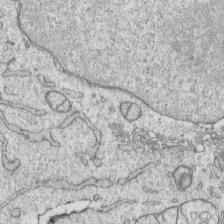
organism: Human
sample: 1205lu cells